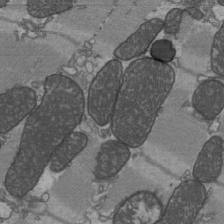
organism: C57BL Mouse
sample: Heart